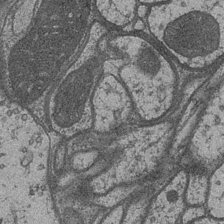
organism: Drosophila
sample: Optic medulla